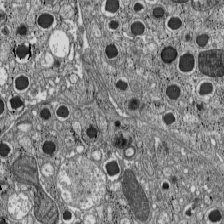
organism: C57BL Mouse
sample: Pancreatic islet